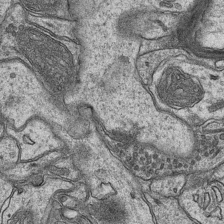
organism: Mouse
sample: CA1 Hippocampus